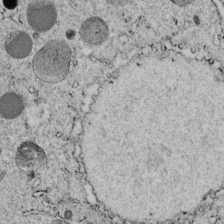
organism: C. elegans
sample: C. elegans embryo early stage